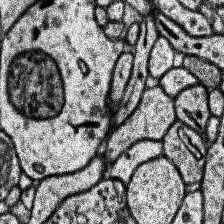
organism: Human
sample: Temporal Lobe